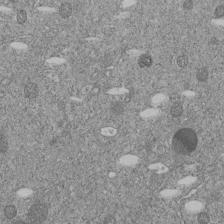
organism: C. elegans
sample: C. elegans embryo early stage